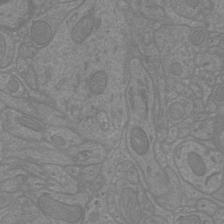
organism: Mouse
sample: Cortical neurons